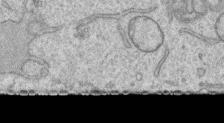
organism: Human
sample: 1205lu cells